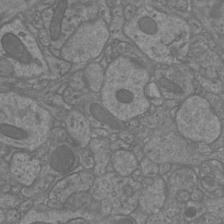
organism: Mouse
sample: Cortical neurons